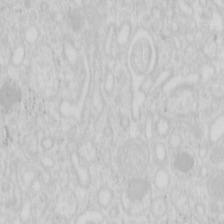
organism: Mouse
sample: Pancreas